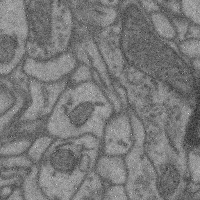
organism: Mouse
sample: Cerebral cortex